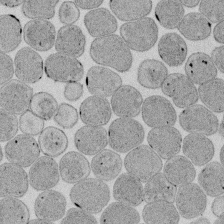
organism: E. coli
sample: Bacterial nucleoid